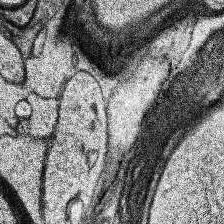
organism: Human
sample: Temporal Lobe